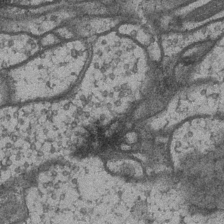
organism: Drosophila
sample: Optic medulla